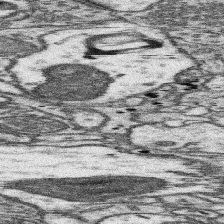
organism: Mouse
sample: Somatosensory cortex neuropil